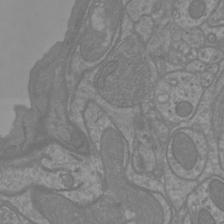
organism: Mouse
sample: Cortical neurons